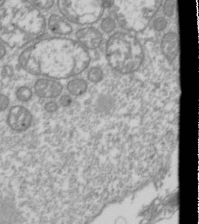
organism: Drosophila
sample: Cell division; meiosis; drosophila spermatocytes